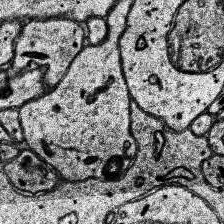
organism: Human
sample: Temporal Lobe